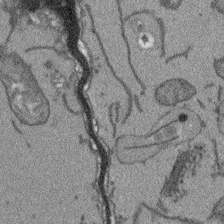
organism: Arabidopsis thaliana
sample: Root tip